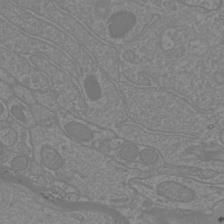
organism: Mouse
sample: Cortical neurons